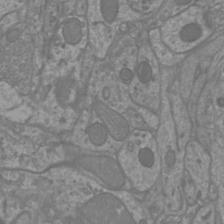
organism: Mouse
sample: Cortical neurons